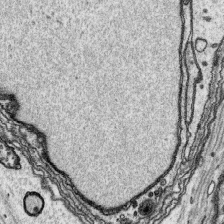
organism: Platynereis dumerilii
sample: Parapodia